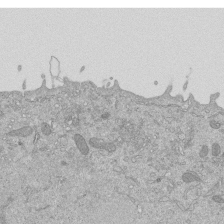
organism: Mouse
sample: ED-1 cell nuclei; centrioles